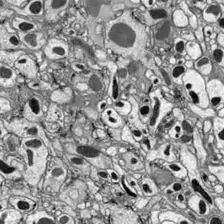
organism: Drosophila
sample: Optic lobe